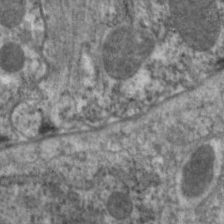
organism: C. elegans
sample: Pharynx